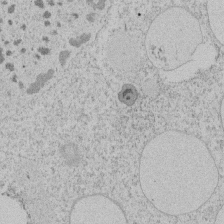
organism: Tetrahymena